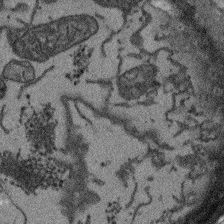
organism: Arabidopsis thaliana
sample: Root tip